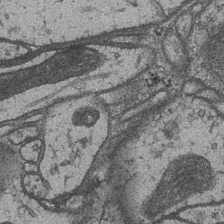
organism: Drosophila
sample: Optic medulla